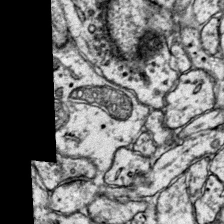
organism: Mouse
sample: Primary visual cortex